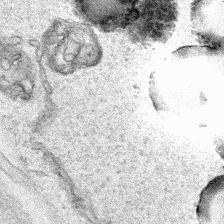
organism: Human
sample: Mitochondria in HCT116 cells